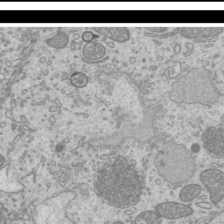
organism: Mouse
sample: Cilia; mouse epididymis